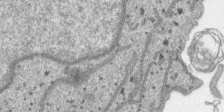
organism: Human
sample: Lung epithelial cells infected with SARS-CoV-2